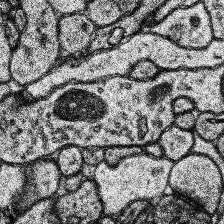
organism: Human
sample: Temporal Lobe